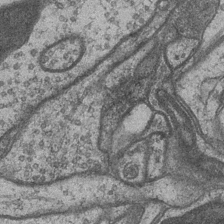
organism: Drosophila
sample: Optic medulla